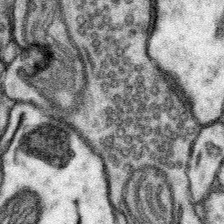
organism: Mouse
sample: Somatosensory cortex neuropil